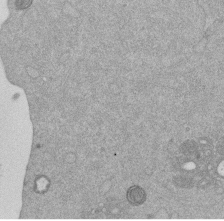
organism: Mouse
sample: Dividing mouse embryo 1 cell stage